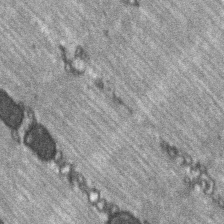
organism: C57BL Mouse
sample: Soleus